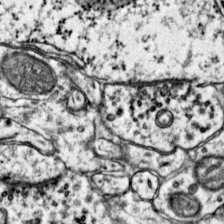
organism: Mouse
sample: Primary visual cortex